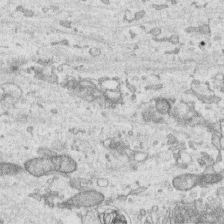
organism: Human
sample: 1205lu cells